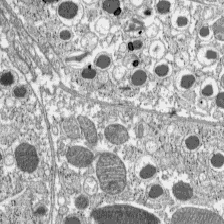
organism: C57BL Mouse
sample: Pancreatic islet